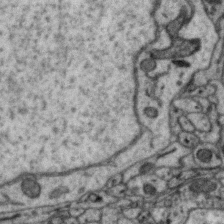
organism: Zebra finch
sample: Brain